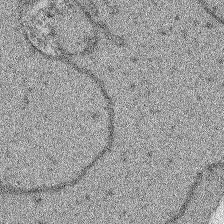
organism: Human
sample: HeLa cells